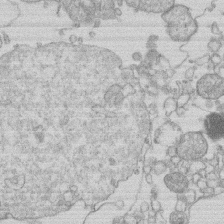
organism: Human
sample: Macrophage cells